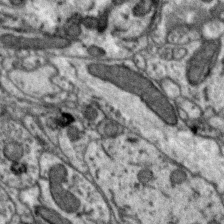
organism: Zebra finch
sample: Brain